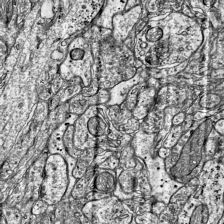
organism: Mouse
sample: Visual Cortex